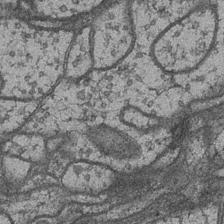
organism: Drosophila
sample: Optic medulla